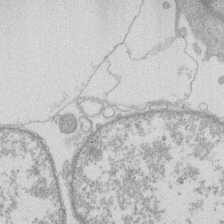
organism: Human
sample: Macrophage cells